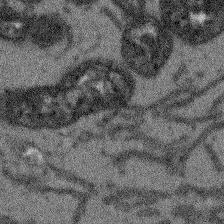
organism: Arabidopsis thaliana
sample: Root tip